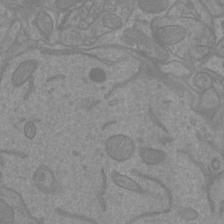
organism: Mouse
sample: Cortical neurons